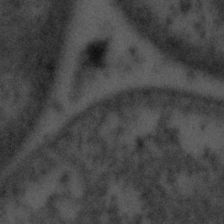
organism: Tuwongella immobilis